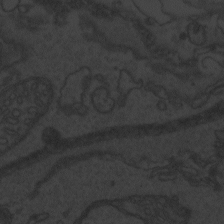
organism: Zebrafish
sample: Macrophage infected with Toxoplasma gondii